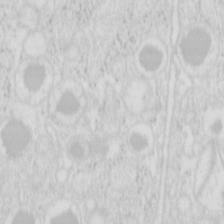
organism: Mouse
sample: Pancreas